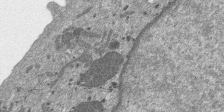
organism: Human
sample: Lung epithelial cells infected with SARS-CoV-2